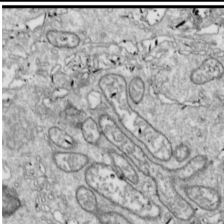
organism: Drosophila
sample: Cell division; meiosis; drosophila spermatocytes